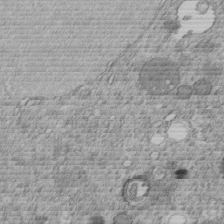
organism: C. elegans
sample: C. elegans embryo early stage